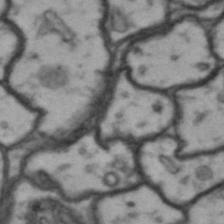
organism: Drosophila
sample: Brain